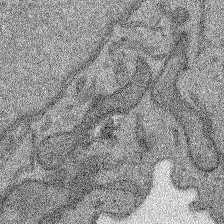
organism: Human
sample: HeLa cells